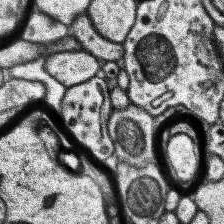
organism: Human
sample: Temporal Lobe